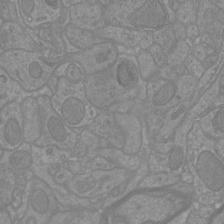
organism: Mouse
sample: Cortical neurons